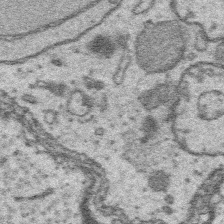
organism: Platynereis dumerilii